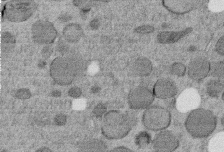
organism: C. elegans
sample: C. elegans embryo early stage